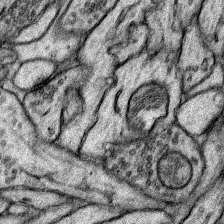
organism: Rat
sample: Hippocampus